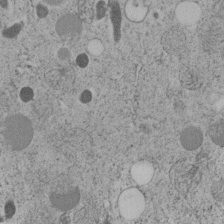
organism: C. elegans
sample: C. elegans embryo early stage